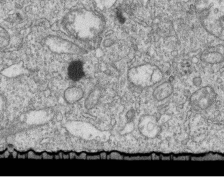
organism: Human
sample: HeLa cell HIV synapse